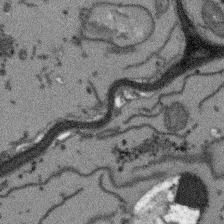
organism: Arabidopsis thaliana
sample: Root tip